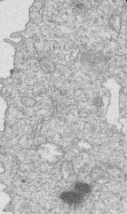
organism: Human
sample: HeLa cell HIV synapse